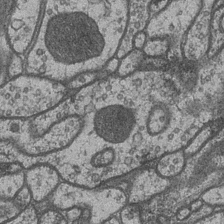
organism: Drosophila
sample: Optic medulla